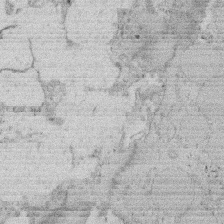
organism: Rat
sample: Salivary granule